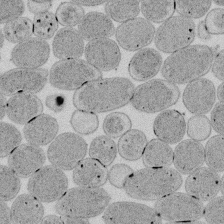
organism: E. coli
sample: Bacterial nucleoid